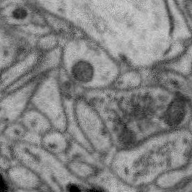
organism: Zebra finch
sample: Brain